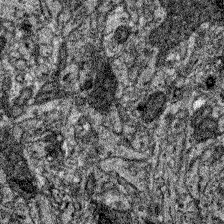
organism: Zebrafish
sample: Larval olfactory bulb